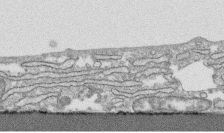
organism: Human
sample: CRL-1474